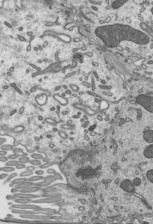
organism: Mouse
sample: Mouse epididymis efferent ductule cilia